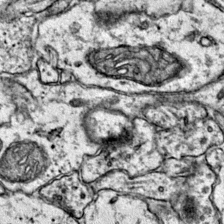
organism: Mouse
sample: Primary visual cortex